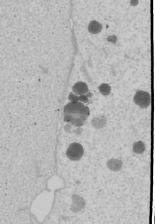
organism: Human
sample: Mitochondria in U2OS cells